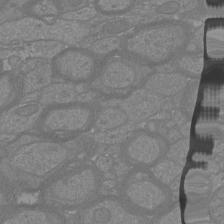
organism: Mouse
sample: Cortical neurons